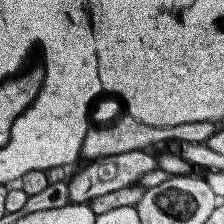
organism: Human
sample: Temporal Lobe